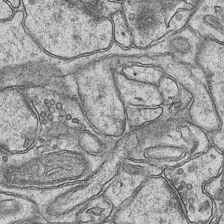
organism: Mouse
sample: CA1 Hippocampus